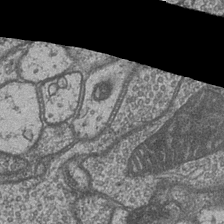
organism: Drosophila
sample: Optic medulla